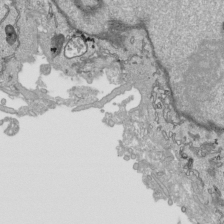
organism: Human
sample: Mitochondria in HCT116 cells